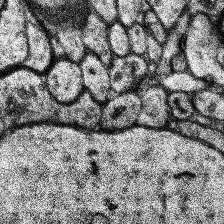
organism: Human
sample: Temporal Lobe